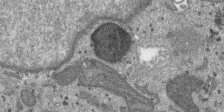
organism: Human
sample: Lung epithelial cells infected with SARS-CoV-2